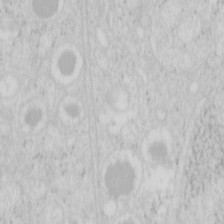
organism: Mouse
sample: Pancreas